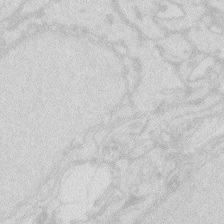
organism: Zebrafish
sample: Macrophage